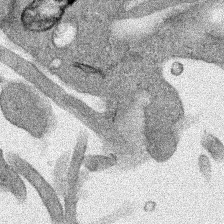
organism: Human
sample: Mitochondria in HCT116 cells